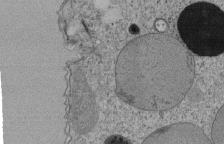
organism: Tetrahymena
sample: Cilia in tetrahymena